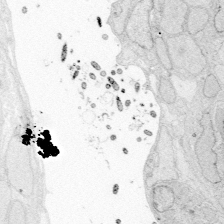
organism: Zebrafish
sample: Whole-Brain